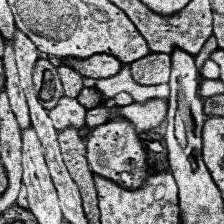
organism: Human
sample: Temporal Lobe